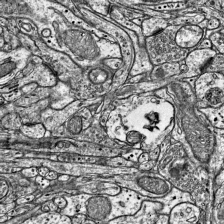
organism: Mouse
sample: Visual Cortex